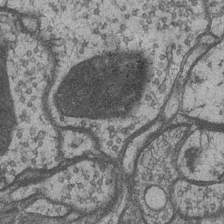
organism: Drosophila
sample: Optic medulla